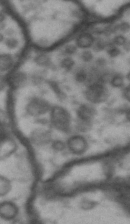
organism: Drosophila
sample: Brain